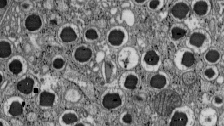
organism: C57BL Mouse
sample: Pancreatic islet